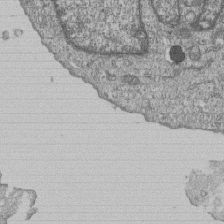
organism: Human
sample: MDA-MB-231 cells